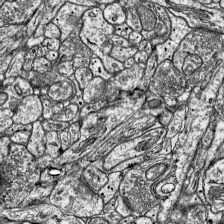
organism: Mouse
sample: Visual Cortex